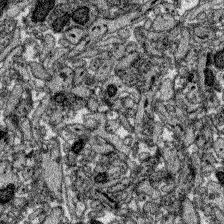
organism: Zebrafish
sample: Larval olfactory bulb